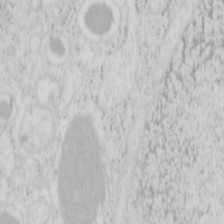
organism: Mouse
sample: Pancreas